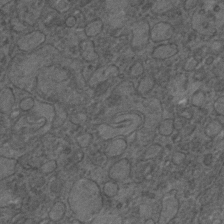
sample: Trachea